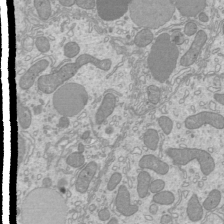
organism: Mouse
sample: Cilia; mouse epididymis